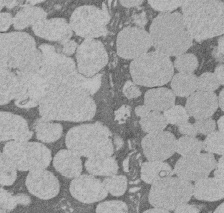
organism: Rat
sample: Salivary granule